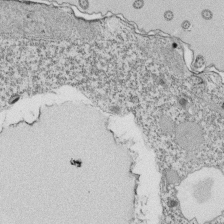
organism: Tetrahymena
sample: Cilia in tetrahymena